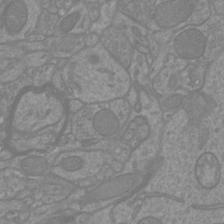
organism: Mouse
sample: Cortical neurons